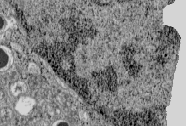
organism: C57BL Mouse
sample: Pancreatic islet